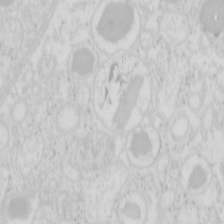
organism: Mouse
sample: Pancreas